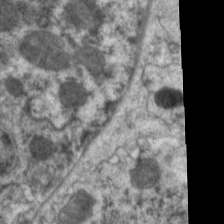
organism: C. elegans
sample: Pharynx